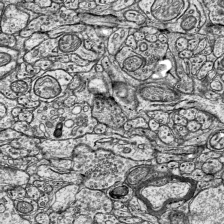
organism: Mouse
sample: Visual Cortex